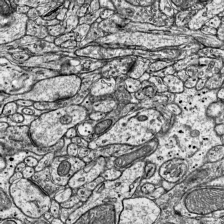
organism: Mouse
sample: Visual Cortex